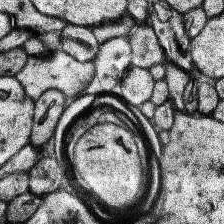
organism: Human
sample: Temporal Lobe